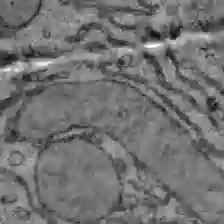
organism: C57BL Mouse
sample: Liver